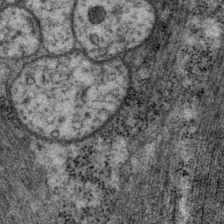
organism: P. pacificus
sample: Pharynx